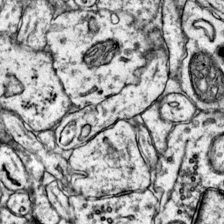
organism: Mouse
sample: Primary visual cortex